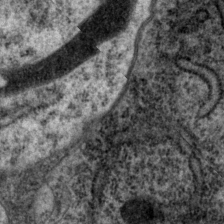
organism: P. pacificus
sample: Pharynx